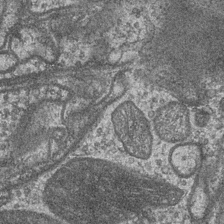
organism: Drosophila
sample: Optic medulla